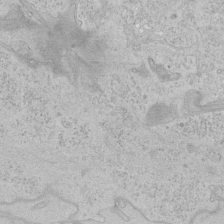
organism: Human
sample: Mitochondria in HCT116 cells